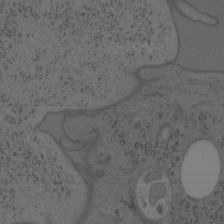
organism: Mouse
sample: OT-I killer T cells with ID8 ovarian cancer cells